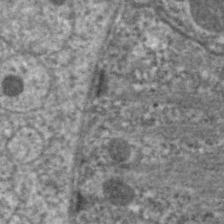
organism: C. elegans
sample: Pharynx